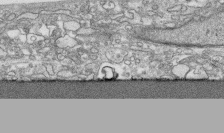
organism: Human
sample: CRL-1474